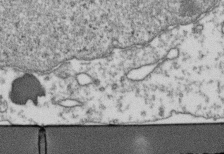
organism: Human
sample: Activated Jurkat CD4+ T cells